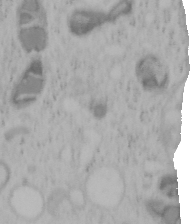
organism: Mouse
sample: OT-I killer T cells with ID8 ovarian cancer cells